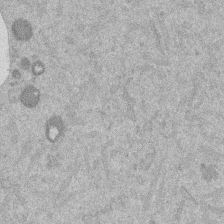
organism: Mouse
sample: Dividing mouse embryo 1 cell stage